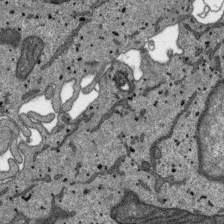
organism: Human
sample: Lung epithelial cells, uninfected (mock) control